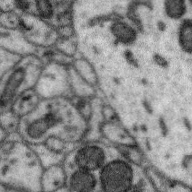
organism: Zebra finch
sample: Brain